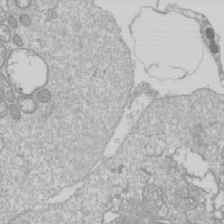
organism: Drosophila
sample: Cell division; meiosis; drosophila spermatocytes